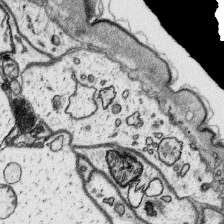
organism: Platynereis dumerilii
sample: Parapodia